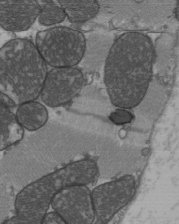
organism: C57BL Mouse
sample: Heart